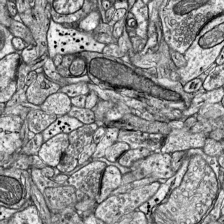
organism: Mouse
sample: Visual Cortex